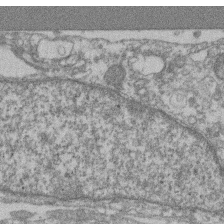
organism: Mouse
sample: T cell stromal cell synapse